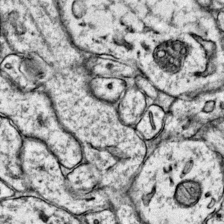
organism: Mouse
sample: Primary visual cortex